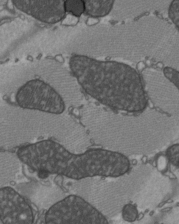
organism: C57BL Mouse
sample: Heart